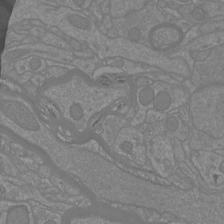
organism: Mouse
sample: Cortical neurons